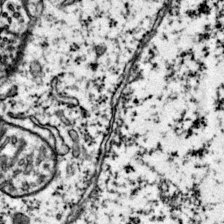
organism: Mouse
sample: Primary visual cortex